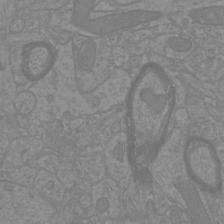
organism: Mouse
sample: Cortical neurons